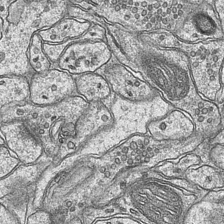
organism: Mouse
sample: CA1 Hippocampus